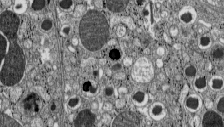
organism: C57BL Mouse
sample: Pancreatic islet